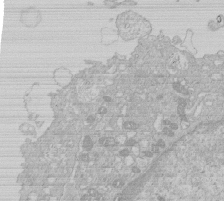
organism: Human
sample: Macrophage cells